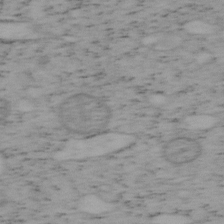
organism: Mouse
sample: OT-I killer T cells with ID8 ovarian cancer cells